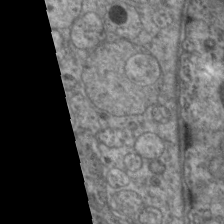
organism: C. elegans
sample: Pharynx